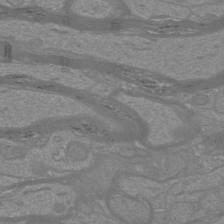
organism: Mouse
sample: Cortical neurons